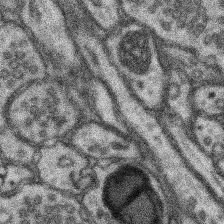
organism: Mouse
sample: Somatosensory cortex neuropil